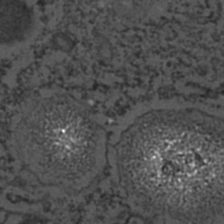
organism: C. elegans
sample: C. elegans embryo